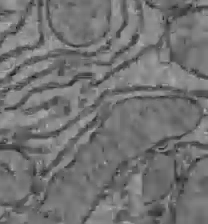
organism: C57BL Mouse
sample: Liver